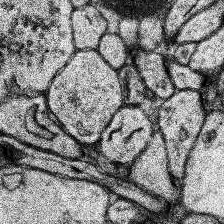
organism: Human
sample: Temporal Lobe